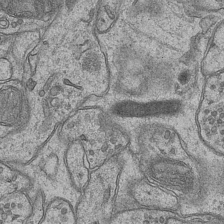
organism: Mouse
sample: CA1 Hippocampus